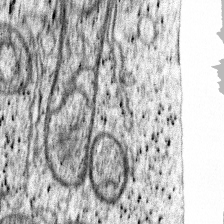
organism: Human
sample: HeLa cells